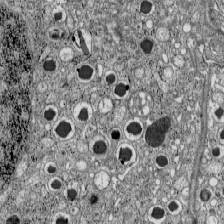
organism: C57BL Mouse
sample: Pancreatic islet